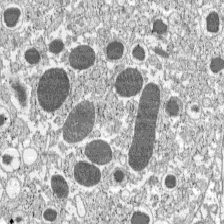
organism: C57BL Mouse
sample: Pancreatic islet